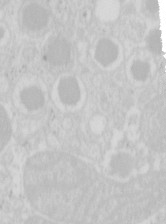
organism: Mouse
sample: Pancreas